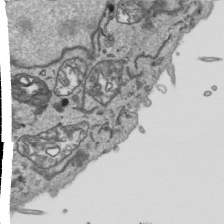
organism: Human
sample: Mitochondria in HCT116 cells